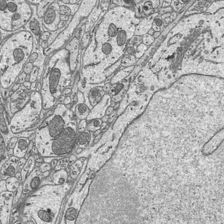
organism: Mouse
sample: Suprachiasmatic nucleus